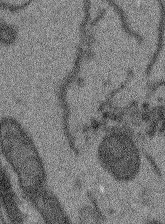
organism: Arabidopsis thaliana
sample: Root tip